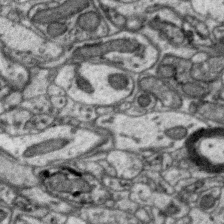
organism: Zebra finch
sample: Brain